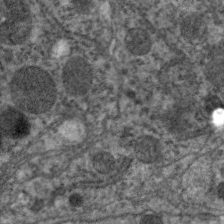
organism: C. elegans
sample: Pharynx